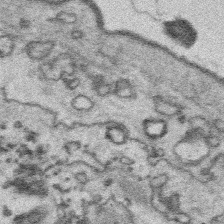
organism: Platynereis dumerilii